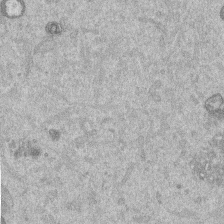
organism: Mouse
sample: Dividing mouse embryo 1 cell stage